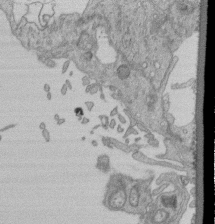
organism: Human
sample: Retinal organoid Rod and Cone cells